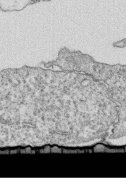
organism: Human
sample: HeLa cell HIV synapse